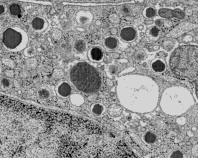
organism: C57BL Mouse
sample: Pancreatic islet